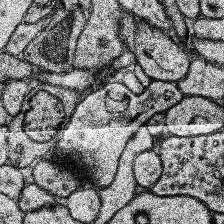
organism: Human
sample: Temporal Lobe